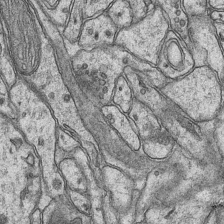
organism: Mouse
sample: CA1 Hippocampus